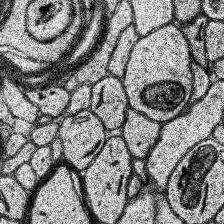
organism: Human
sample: Temporal Lobe